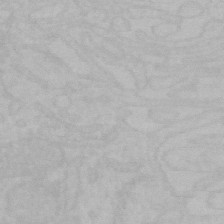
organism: Mouse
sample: Choroid plexus